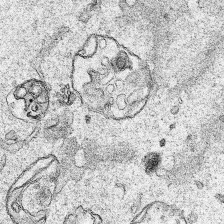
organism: Human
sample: Mitochondria in HCT116 cells